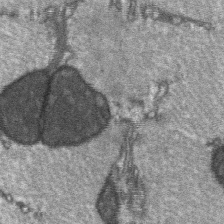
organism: C57BL Mouse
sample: Soleus